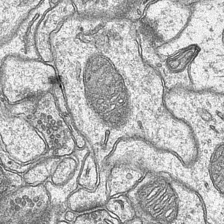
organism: Mouse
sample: CA1 Hippocampus